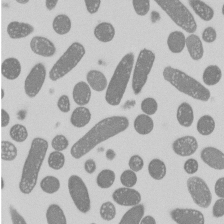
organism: E. coli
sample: Bacterial nucleoid